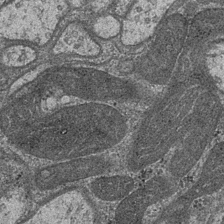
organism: Drosophila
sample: Optic medulla